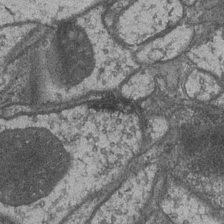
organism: Drosophila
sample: Optic medulla